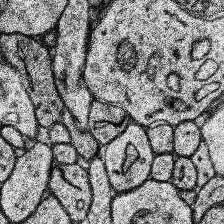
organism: Human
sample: Temporal Lobe